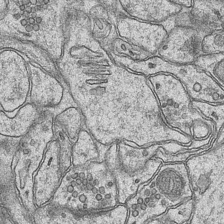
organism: Mouse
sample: CA1 Hippocampus